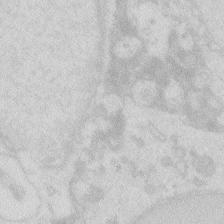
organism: Zebrafish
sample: Macrophage